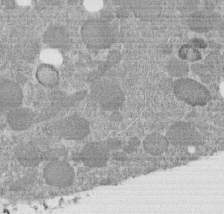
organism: C. elegans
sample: C. elegans embryo early stage